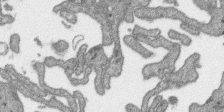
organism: Human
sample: Lung epithelial cells infected with SARS-CoV-2